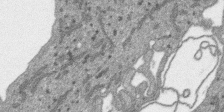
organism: Human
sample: Lung epithelial cells infected with SARS-CoV-2